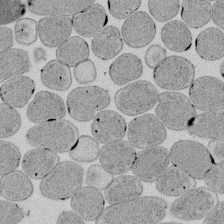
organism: E. coli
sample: Bacterial nucleoid